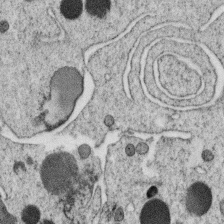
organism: C. elegans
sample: C. elegans oocyte; sperm cells